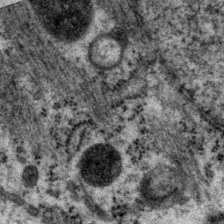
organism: P. pacificus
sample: Pharynx